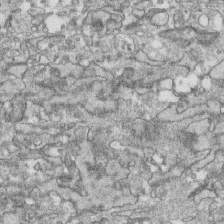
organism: Human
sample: CRL-1474